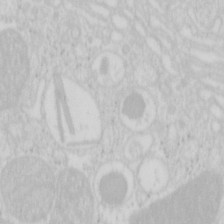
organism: Mouse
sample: Pancreas